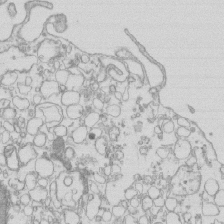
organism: Mouse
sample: Macrophages